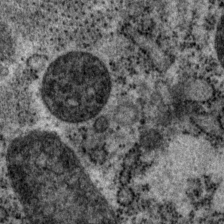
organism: P. pacificus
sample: Pharynx